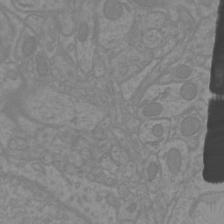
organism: Mouse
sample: Cortical neurons